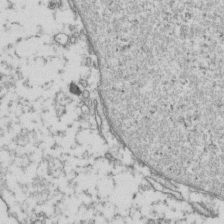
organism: Human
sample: Activated Jurkat CD4+ T cells